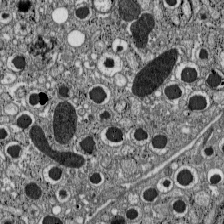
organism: C57BL Mouse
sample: Pancreatic islet